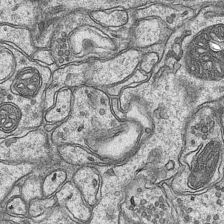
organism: Mouse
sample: CA1 Hippocampus